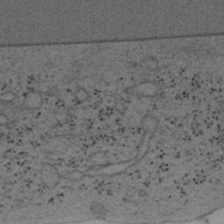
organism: Human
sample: HeLa cells